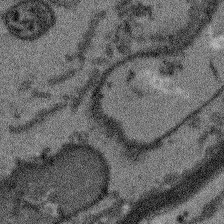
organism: Arabidopsis thaliana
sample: Root tip